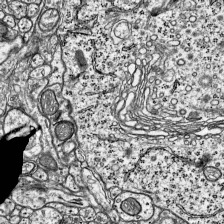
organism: Mouse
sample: Visual Cortex